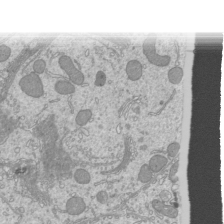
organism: Mouse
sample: Cilia; mouse epididymis